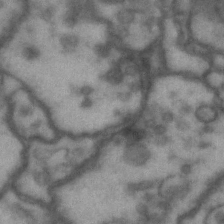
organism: Drosophila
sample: Brain